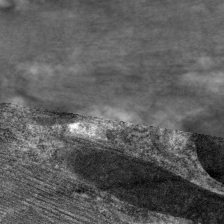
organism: C. elegans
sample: Pharynx